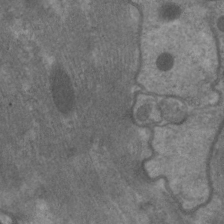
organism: C. elegans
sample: Pharynx